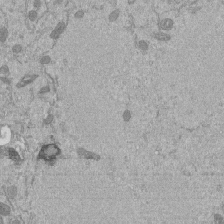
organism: Mouse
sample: ED-1 cell nuclei; centrioles